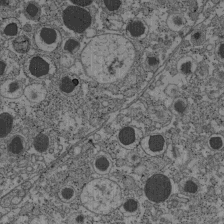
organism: C57BL Mouse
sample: Pancreatic islet